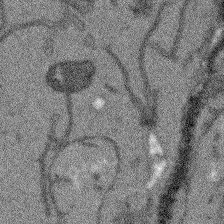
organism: Arabidopsis thaliana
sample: Root tip